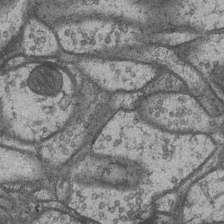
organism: Drosophila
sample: Optic medulla